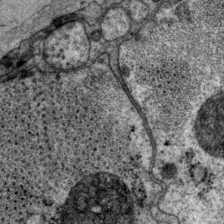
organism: P. pacificus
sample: Pharynx